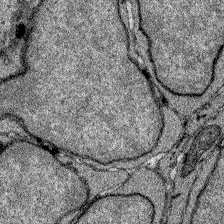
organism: Zebrafish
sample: Larval olfactory bulb